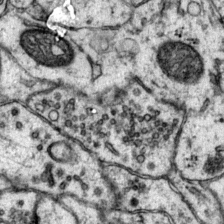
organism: Mouse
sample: Primary visual cortex